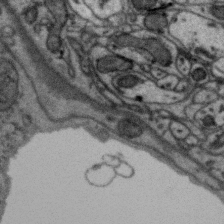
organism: Zebra finch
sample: Brain